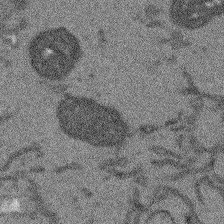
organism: Arabidopsis thaliana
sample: Root tip